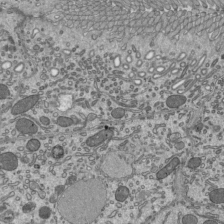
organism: Mouse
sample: Mouse epididymis efferent ductule cilia